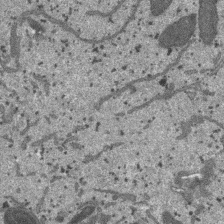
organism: Human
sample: Lung epithelial cells infected with SARS-CoV-2